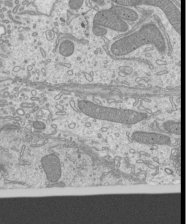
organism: Mouse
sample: Cilia; mouse epididymis